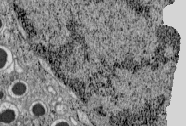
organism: C57BL Mouse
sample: Pancreatic islet